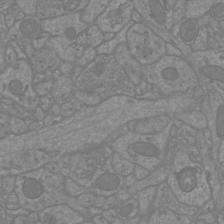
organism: Mouse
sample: Cortical neurons